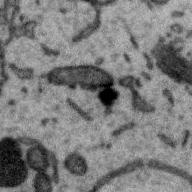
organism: Zebra finch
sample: Brain